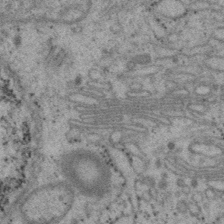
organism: Human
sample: HeLa cells